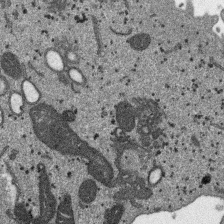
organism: Human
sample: Lung epithelial cells infected with SARS-CoV-2